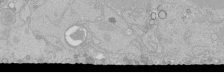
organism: Human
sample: Caco-2 cells